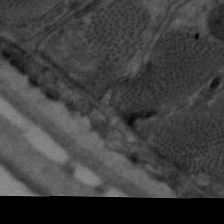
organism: C. elegans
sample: Pharynx